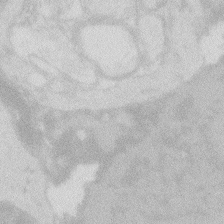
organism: Zebrafish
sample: Macrophage